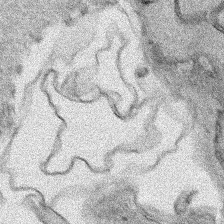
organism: Human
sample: Mitochondria in HCT116 cells